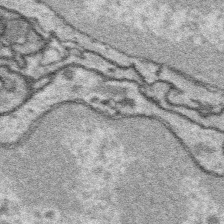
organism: Platynereis dumerilii